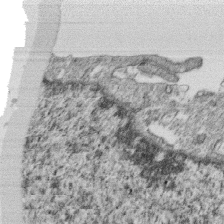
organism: African green monkey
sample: Vero E6 cells infected with SARS-CoV-2